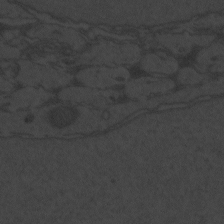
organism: Zebrafish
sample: Macrophage infected with Toxoplasma gondii